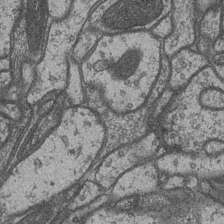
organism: Drosophila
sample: Optic medulla